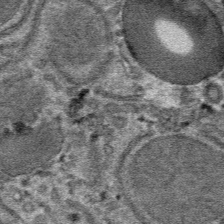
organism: Mouse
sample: Mouse hepatocytes